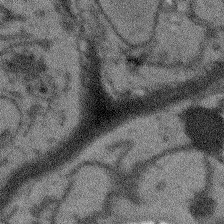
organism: Arabidopsis thaliana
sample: Root tip